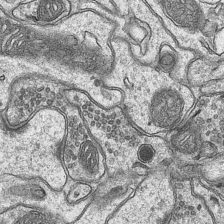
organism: Mouse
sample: CA1 Hippocampus